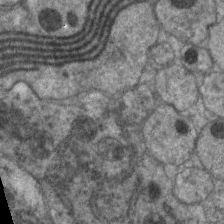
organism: C. elegans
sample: Pharynx